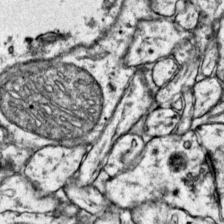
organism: Mouse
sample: Primary visual cortex